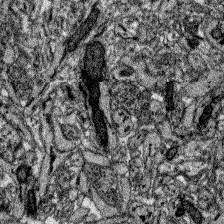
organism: Zebrafish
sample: Larval olfactory bulb